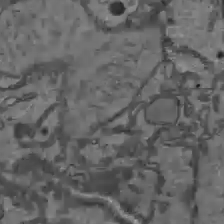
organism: C57BL Mouse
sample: Liver